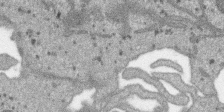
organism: Human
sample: Lung epithelial cells infected with SARS-CoV-2